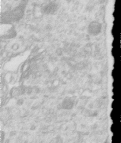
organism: Human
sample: Centriole in RPE cells